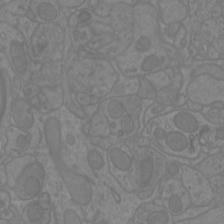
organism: Mouse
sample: Cortical neurons